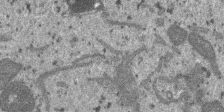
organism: Human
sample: Lung epithelial cells infected with SARS-CoV-2